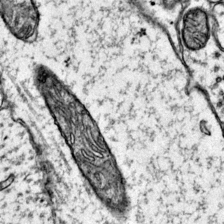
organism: Mouse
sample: Primary visual cortex